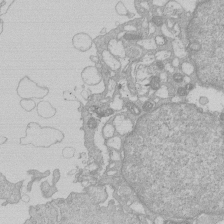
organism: Human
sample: Macrophage cells